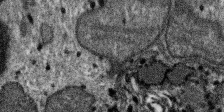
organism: Human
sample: Lung epithelial cells infected with SARS-CoV-2